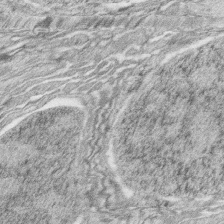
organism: Zebrafish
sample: synaptic ribbons in rod cells and cone cells